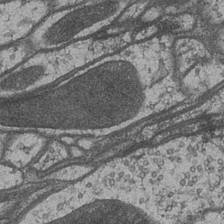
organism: Drosophila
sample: Optic medulla